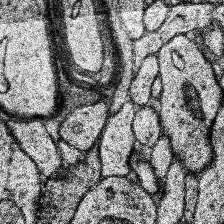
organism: Human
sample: Temporal Lobe